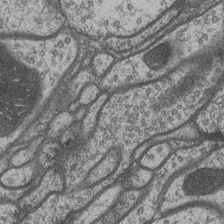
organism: Drosophila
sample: Optic medulla